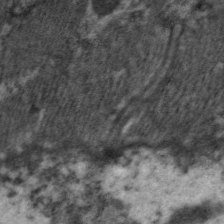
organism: C. elegans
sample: Pharynx